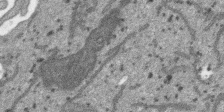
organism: Human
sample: Lung epithelial cells infected with SARS-CoV-2